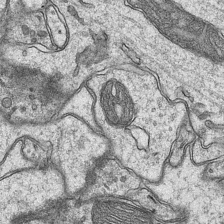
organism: Mouse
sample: CA1 Hippocampus